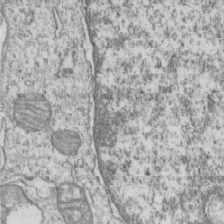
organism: Human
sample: MDA-MB-231 cells